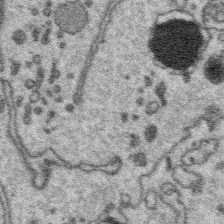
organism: Platynereis dumerilii